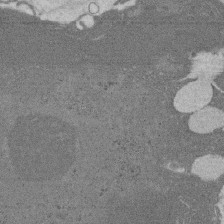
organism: Rat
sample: Salivary granule